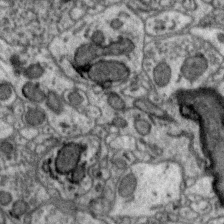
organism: Zebra finch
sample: Brain